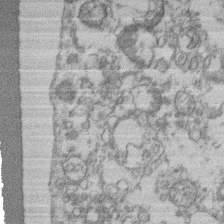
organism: Mouse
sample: T cell stromal cell synapse